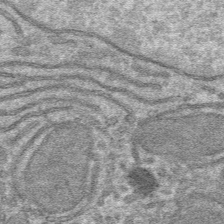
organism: Mouse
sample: Mouse hepatocytes